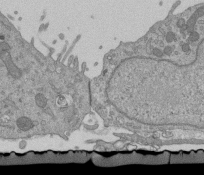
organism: Mouse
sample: ED-1 cell nuclei; centrioles